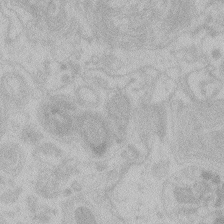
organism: Zebrafish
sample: Macrophage infected with Toxoplasma gondii